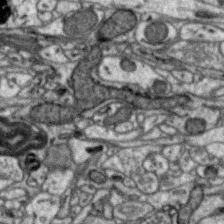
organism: Zebra finch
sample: Brain